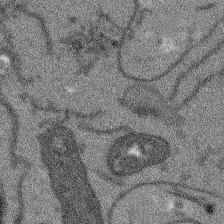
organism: Arabidopsis thaliana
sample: Root tip